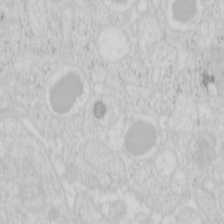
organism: Mouse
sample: Pancreas